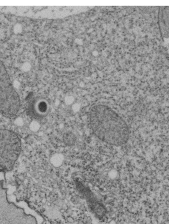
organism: Tetrahymena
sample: Cilia in tetrahymena